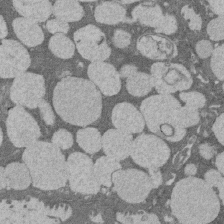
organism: Rat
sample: Salivary granule